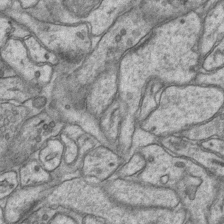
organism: Mouse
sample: CA1 Hippocampus